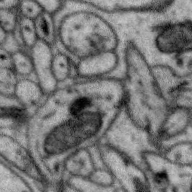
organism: Zebra finch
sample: Brain